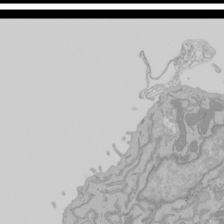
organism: Mouse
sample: Cancer cell death in ED-1 cells